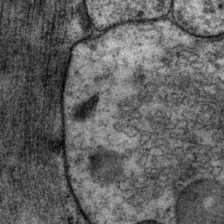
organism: P. pacificus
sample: Pharynx